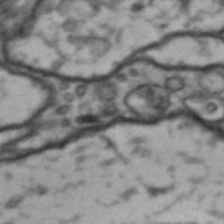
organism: Drosophila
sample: Brain